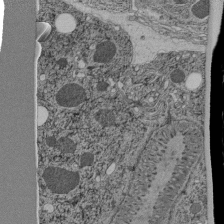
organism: C. elegans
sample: C. elegans pharynx